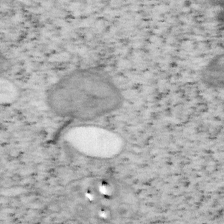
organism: Mouse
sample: OT-I killer T cells with ID8 ovarian cancer cells